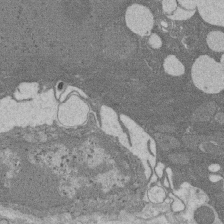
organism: Rat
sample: Salivary granule